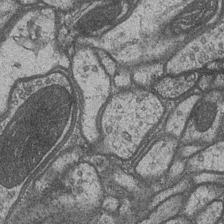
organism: Drosophila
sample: Optic medulla